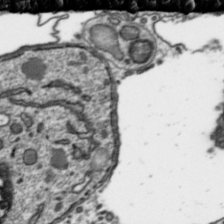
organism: Toxoplasma gondii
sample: Parasites in a vacuole inside a host cell